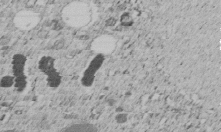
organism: C. elegans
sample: C. elegans embryo early stage